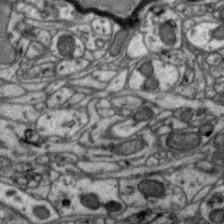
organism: Zebra finch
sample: Brain